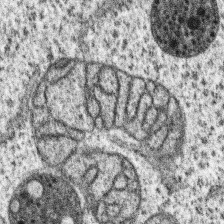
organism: Human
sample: HeLa cells